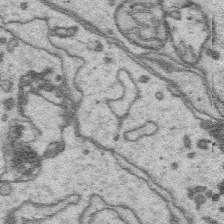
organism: Platynereis dumerilii